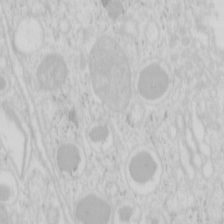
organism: Mouse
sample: Pancreas